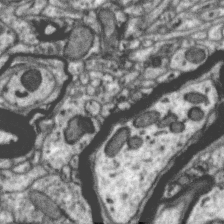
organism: Zebra finch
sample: Brain